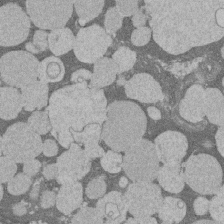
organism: Rat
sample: Salivary granule